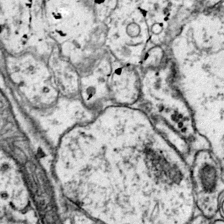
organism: Mouse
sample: Primary visual cortex